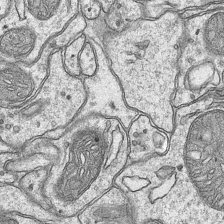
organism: Mouse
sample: CA1 Hippocampus